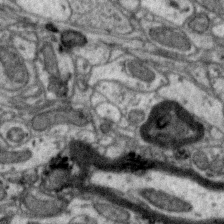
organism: Zebra finch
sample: Brain